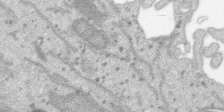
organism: Human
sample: Lung epithelial cells infected with SARS-CoV-2